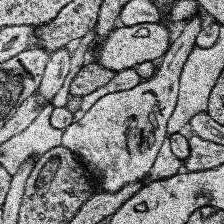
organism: Human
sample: Temporal Lobe